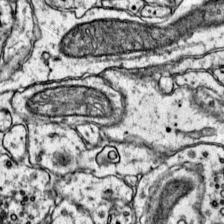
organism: Mouse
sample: Primary visual cortex